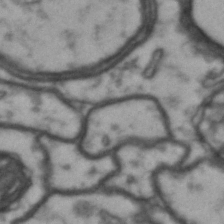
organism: Drosophila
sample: Brain